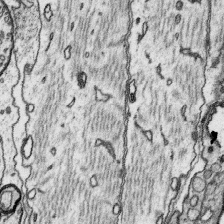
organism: Platynereis dumerilii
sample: Parapodia